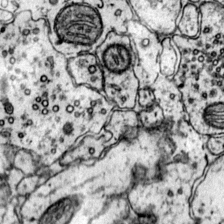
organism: Mouse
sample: Primary visual cortex